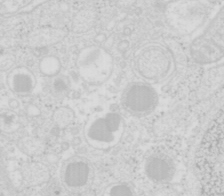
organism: Mouse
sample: Pancreas